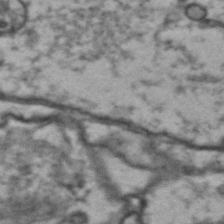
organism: Drosophila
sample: Brain